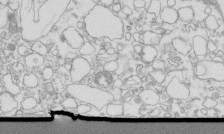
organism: Mouse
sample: Macrophages